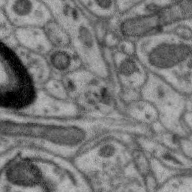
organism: Zebra finch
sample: Brain